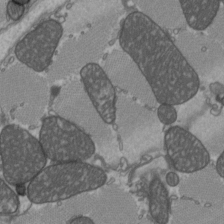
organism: C57BL Mouse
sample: Heart